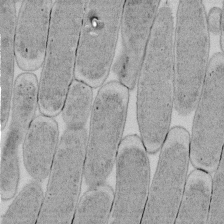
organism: E. coli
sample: Bacterial nucleoid